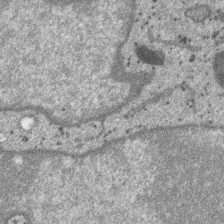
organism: Human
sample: Lung epithelial cells infected with SARS-CoV-2